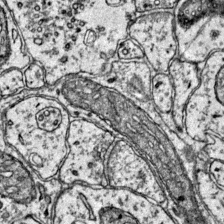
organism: Mouse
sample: Primary visual cortex